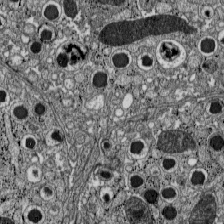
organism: C57BL Mouse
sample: Pancreatic islet